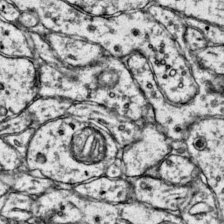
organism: Mouse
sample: Primary visual cortex